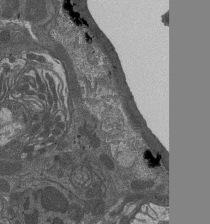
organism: Drosophila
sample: Antenna